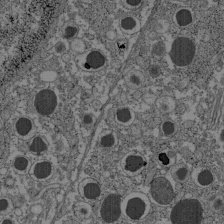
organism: C57BL Mouse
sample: Pancreatic islet